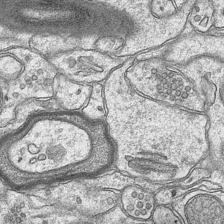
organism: Mouse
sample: CA1 Hippocampus